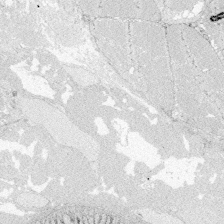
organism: Zebrafish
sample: Whole-Brain